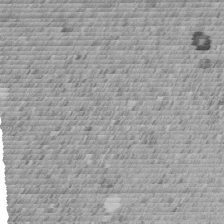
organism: C. elegans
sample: C. elegans embryo early stage